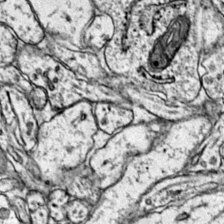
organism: Mouse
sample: Primary visual cortex